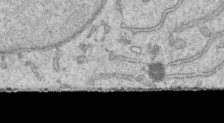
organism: Human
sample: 1205lu cells